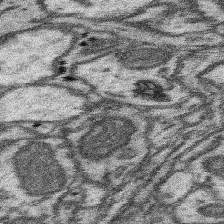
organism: Mouse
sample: Somatosensory cortex neuropil